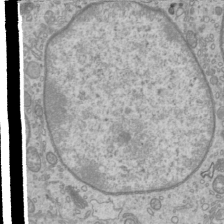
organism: Mouse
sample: Cilia; mouse epididymis